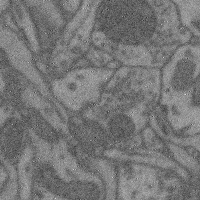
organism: Mouse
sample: Cerebral cortex